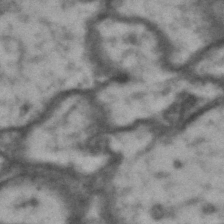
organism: Drosophila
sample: Brain